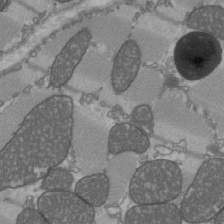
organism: C57BL Mouse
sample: Heart